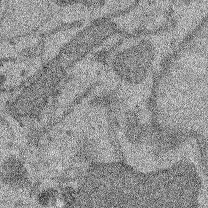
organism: Human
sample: HeLa cells